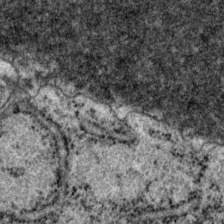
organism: P. pacificus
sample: Pharynx